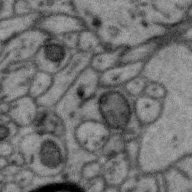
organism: Zebra finch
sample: Brain